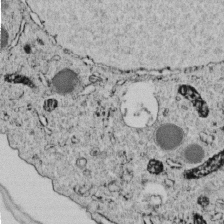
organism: C. elegans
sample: C. elegans embryo early stage